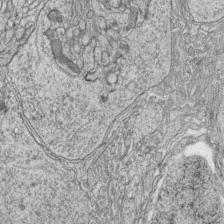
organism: Zebrafish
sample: synaptic ribbons in rod cells and cone cells